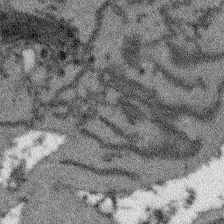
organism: Arabidopsis thaliana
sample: Root tip